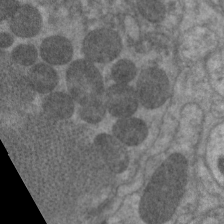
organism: C. elegans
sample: Pharynx